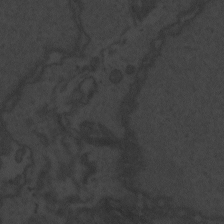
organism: Zebrafish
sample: Macrophage infected with Toxoplasma gondii